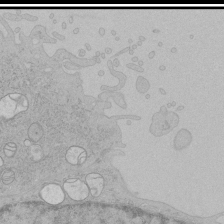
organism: Human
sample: Mitochondria in HCT116 cells